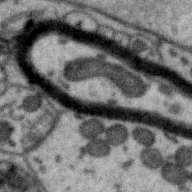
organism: Zebra finch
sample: Brain